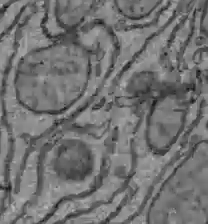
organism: C57BL Mouse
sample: Liver